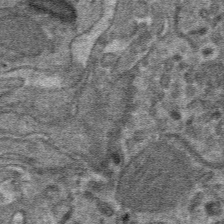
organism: Mouse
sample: Mouse hepatocytes